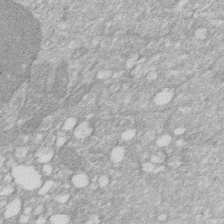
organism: Human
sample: HIV infected U937 cells